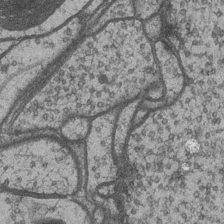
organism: Drosophila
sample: Optic medulla